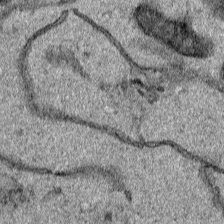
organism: Human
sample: Mitochondria in HCT116 cells